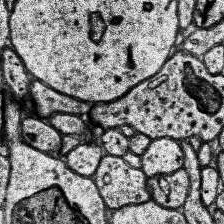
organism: Human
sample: Temporal Lobe